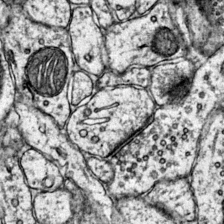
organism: Mouse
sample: Primary visual cortex